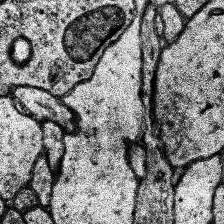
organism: Human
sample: Temporal Lobe